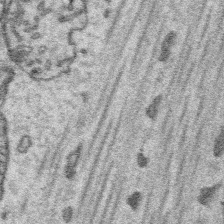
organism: Platynereis dumerilii